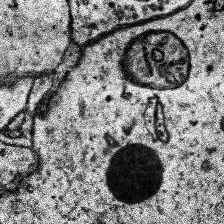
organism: Human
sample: Temporal Lobe